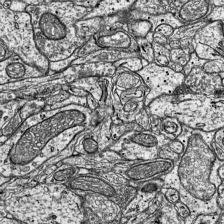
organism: Mouse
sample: Visual Cortex